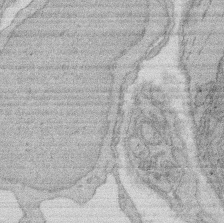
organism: Rat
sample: Salivary granule